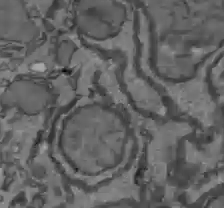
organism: C57BL Mouse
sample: Liver